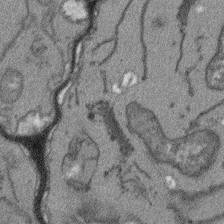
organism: Arabidopsis thaliana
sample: Root tip